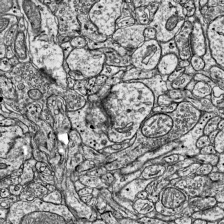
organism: Mouse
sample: Visual Cortex